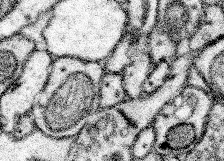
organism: Mouse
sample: Somatosensory cortex neuropil